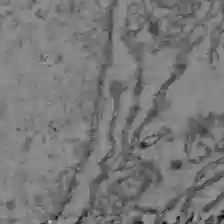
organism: C57BL Mouse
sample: Liver